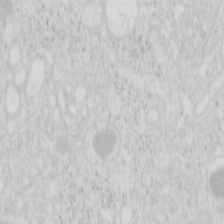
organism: Mouse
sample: Pancreas